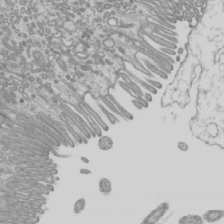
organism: Mouse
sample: Cilia; mouse epididymis